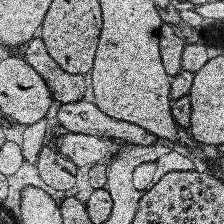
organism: Human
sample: Temporal Lobe